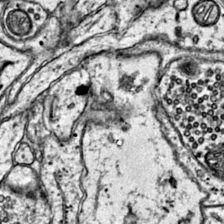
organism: Mouse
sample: Primary visual cortex